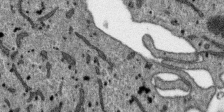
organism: Human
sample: Lung epithelial cells, uninfected (mock) control